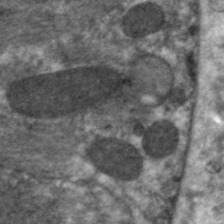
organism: C. elegans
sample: Pharynx